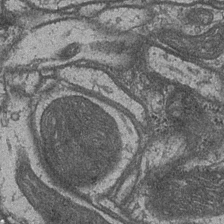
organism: Drosophila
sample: Optic medulla